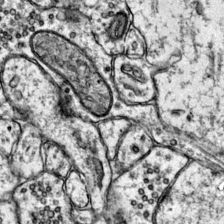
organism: Mouse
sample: Primary visual cortex